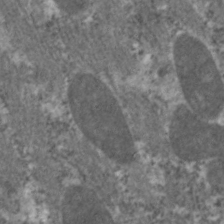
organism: C. elegans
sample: Pharynx